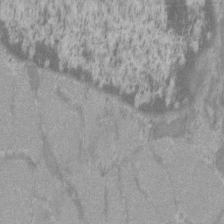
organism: C57BL Mouse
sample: Tibialis anterior muscle cell